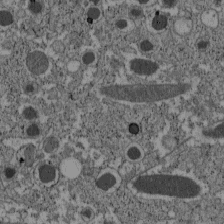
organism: C57BL Mouse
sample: Pancreatic islet